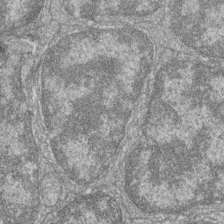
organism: Zebrafish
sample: Cilia; retinal pigment epithelium